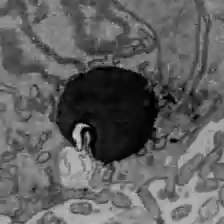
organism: C57BL Mouse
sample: Liver